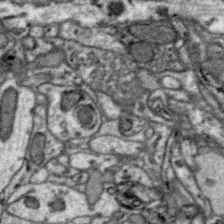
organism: Zebra finch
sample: Brain